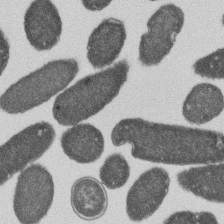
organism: E. coli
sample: Bacterial nucleoid